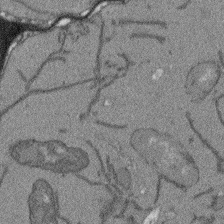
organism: Arabidopsis thaliana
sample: Root tip